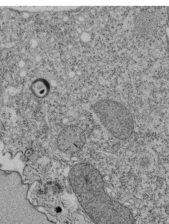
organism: Tetrahymena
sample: Cilia in tetrahymena